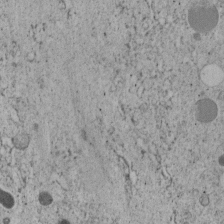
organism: C. elegans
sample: C. elegans embryo early stage